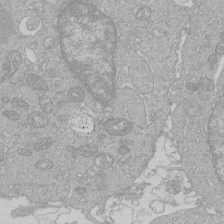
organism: Human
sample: Macrophage cells